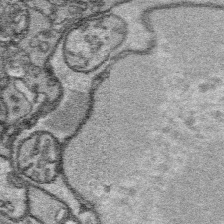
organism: Platynereis dumerilii